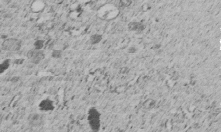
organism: C. elegans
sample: C. elegans embryo early stage